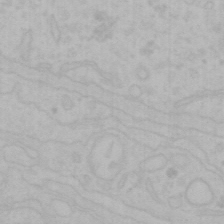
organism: Mouse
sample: Choroid plexus